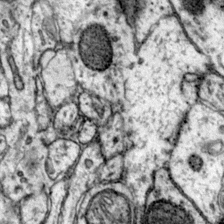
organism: Mouse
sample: Primary visual cortex